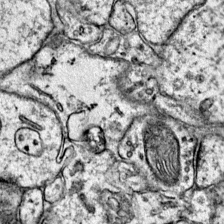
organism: Mouse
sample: Primary visual cortex